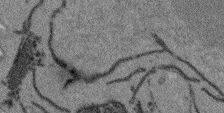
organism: Arabidopsis thaliana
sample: Root tip